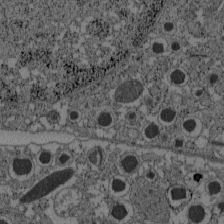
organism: C57BL Mouse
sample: Pancreatic islet